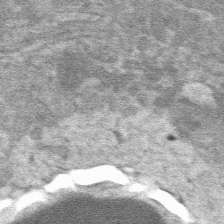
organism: Mouse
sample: Mouse hepatocytes